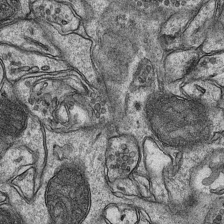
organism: Mouse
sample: CA1 Hippocampus